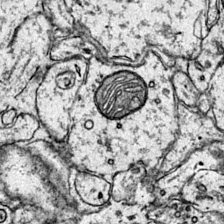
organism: Mouse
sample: Primary visual cortex